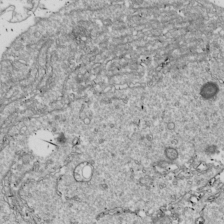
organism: Drosophila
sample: Cell division; meiosis; drosophila spermatocytes